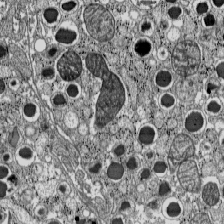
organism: C57BL Mouse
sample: Pancreatic islet